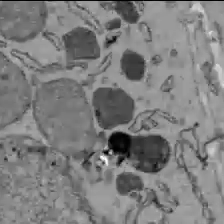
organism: C57BL Mouse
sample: Liver